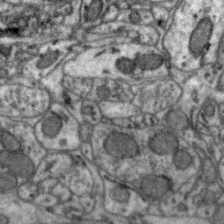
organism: Zebra finch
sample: Brain